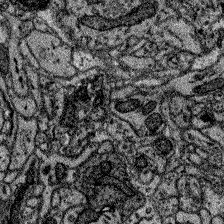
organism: Zebrafish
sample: Larval olfactory bulb